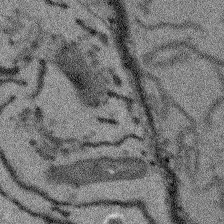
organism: Arabidopsis thaliana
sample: Root tip